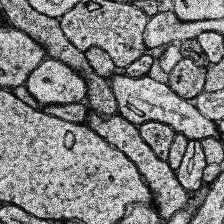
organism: Human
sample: Temporal Lobe